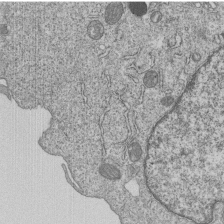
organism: Human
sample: MDA-MB-231 cells